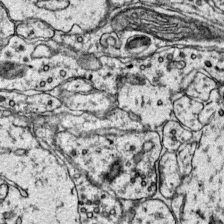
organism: Mouse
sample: Primary visual cortex